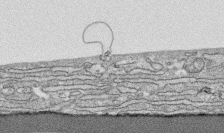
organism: Human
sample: CRL-1474